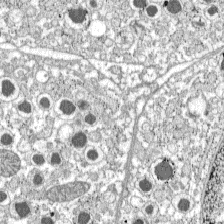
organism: C57BL Mouse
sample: Pancreatic islet